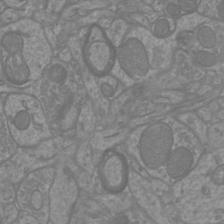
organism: Mouse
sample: Cortical neurons